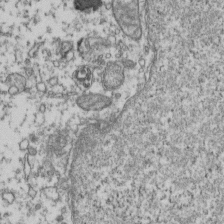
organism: Human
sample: Activated Jurkat CD4+ T cells